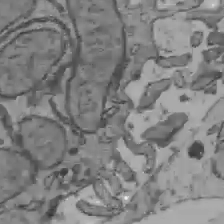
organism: C57BL Mouse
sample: Liver